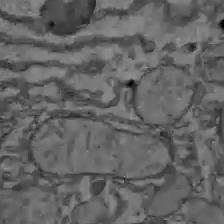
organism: C57BL Mouse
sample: Liver